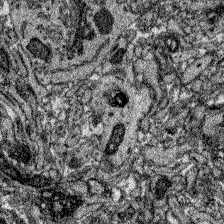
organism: Zebrafish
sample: Larval olfactory bulb